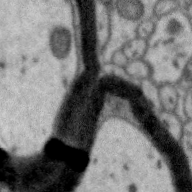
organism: Zebra finch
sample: Brain